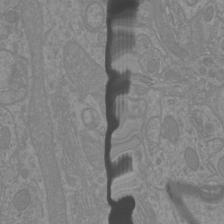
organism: Mouse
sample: Cortical neurons